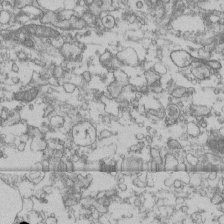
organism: Human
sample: Fibroblast cells